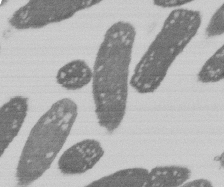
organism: E. coli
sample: Bacterial nucleoid